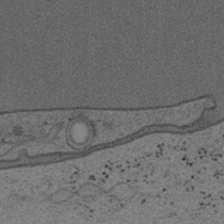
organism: Human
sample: HeLa cells